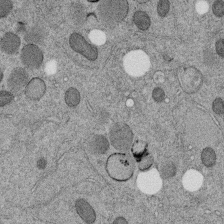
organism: C. elegans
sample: C. elegans embryo early stage